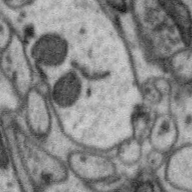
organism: Zebra finch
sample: Brain